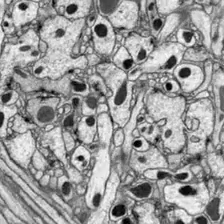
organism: Drosophila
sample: Optic lobe